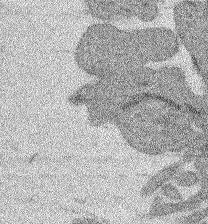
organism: Human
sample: HeLa cells